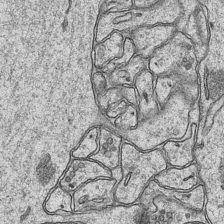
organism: Mouse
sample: CA1 Hippocampus